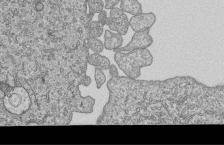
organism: Human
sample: MDA-MB-231 cells